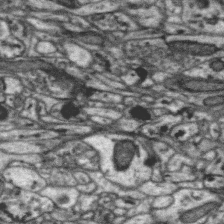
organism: Zebra finch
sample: Brain